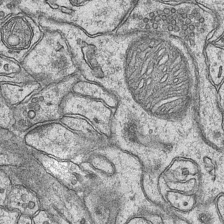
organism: Mouse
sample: CA1 Hippocampus